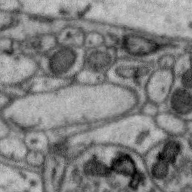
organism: Zebra finch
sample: Brain